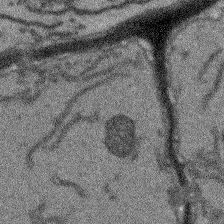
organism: Arabidopsis thaliana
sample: Root tip